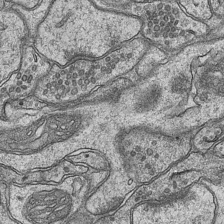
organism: Mouse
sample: CA1 Hippocampus